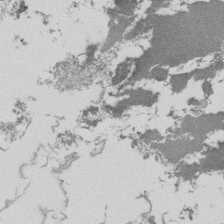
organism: Tetrahymena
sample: Cilia in tetrahymena